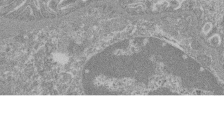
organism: Mouse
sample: Glomerulus